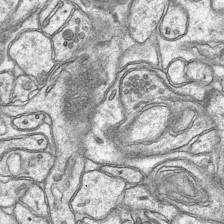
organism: Mouse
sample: CA1 Hippocampus